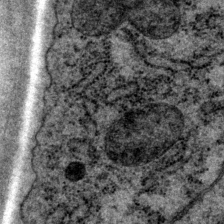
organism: P. pacificus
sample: Pharynx